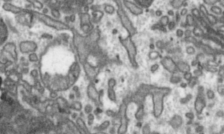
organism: Toxoplasma gondii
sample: Parasites in a vacuole inside a host cell